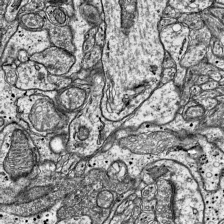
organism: Mouse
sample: Visual Cortex